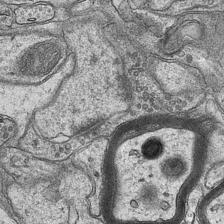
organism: Mouse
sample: CA1 Hippocampus